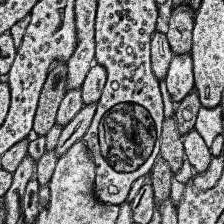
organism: Human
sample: Temporal Lobe